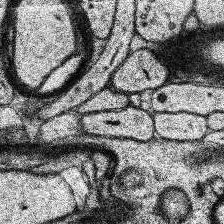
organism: Human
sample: Temporal Lobe